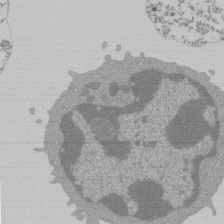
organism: Mouse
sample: Activated Pmel transgenic CD8+ T Cells